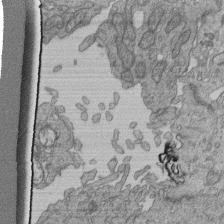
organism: Human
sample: Retinal organoid Rod and Cone cells